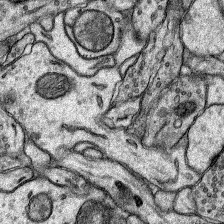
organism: Rat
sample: Hippocampus